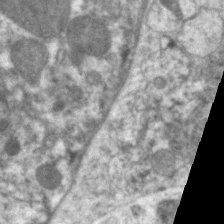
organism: C. elegans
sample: Pharynx